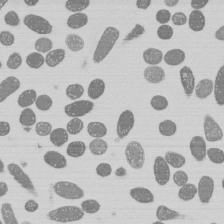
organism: E. coli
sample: Bacterial nucleoid